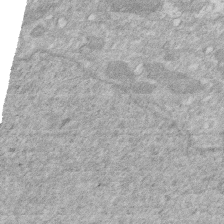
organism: Human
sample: HIV infected U937 cells